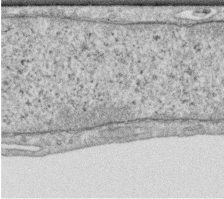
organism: Human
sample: Centriole in RPE cells